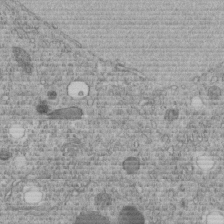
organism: C. elegans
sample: C. elegans embryo early stage